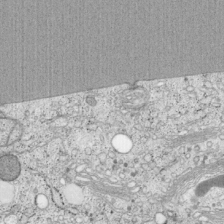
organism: African green monkey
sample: COS-7 cells